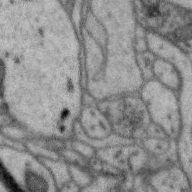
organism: Zebra finch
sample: Brain